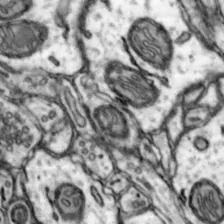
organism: Mouse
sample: Nucleus accumbens